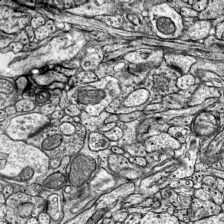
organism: Mouse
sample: Visual Cortex